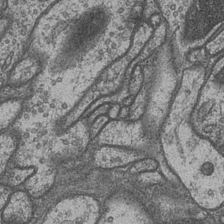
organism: Drosophila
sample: Optic medulla